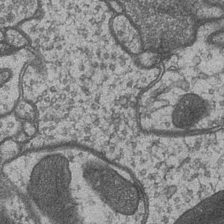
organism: Drosophila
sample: Optic medulla